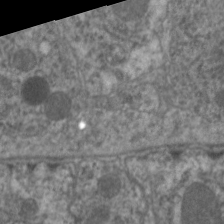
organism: C. elegans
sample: Pharynx